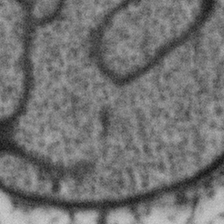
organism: Gemmata obscuriglobus